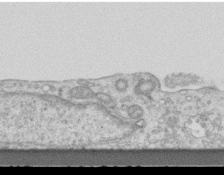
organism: Mouse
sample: Centriole in ependymal cells